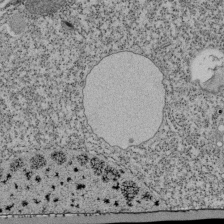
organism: Tetrahymena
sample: Cilia in tetrahymena